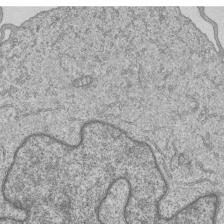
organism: Human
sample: MDA-MB-231 cells